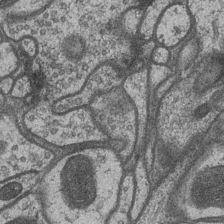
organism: Drosophila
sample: Optic medulla